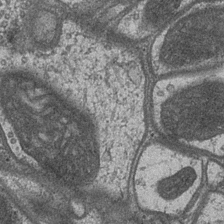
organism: Drosophila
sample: Optic medulla